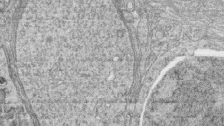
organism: Zebrafish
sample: synaptic ribbons in rod cells and cone cells